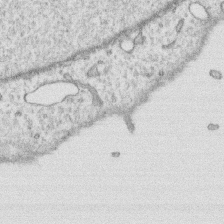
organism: Human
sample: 1205lu cells